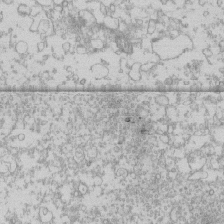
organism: Human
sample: CRL-1474